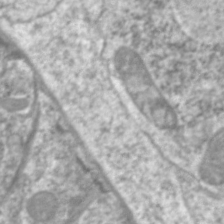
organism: C. elegans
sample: Pharynx